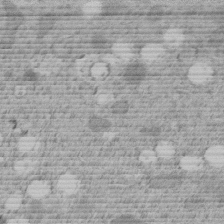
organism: C. elegans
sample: C. elegans embryo early stage